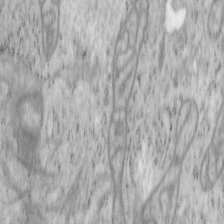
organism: Human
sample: HeLa cells